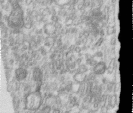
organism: Human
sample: Centriole in RPE cells